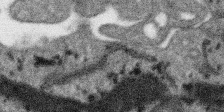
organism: Human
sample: Lung epithelial cells infected with SARS-CoV-2